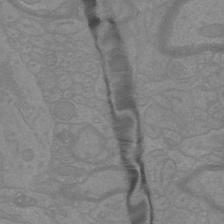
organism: Mouse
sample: Cortical neurons